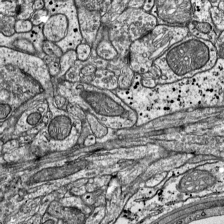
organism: Mouse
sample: Visual Cortex